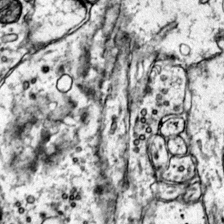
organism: Mouse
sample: Primary visual cortex